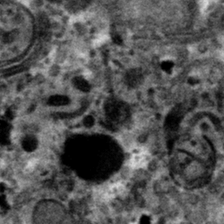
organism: Mouse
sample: Mouse hepatocytes